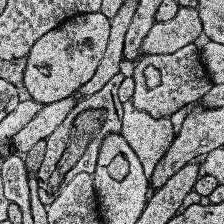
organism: Human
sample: Temporal Lobe